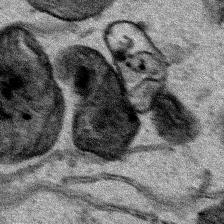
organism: Human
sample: Mitochondria in HCT116 cells